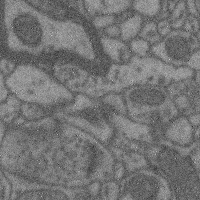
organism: Mouse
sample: Cerebral cortex